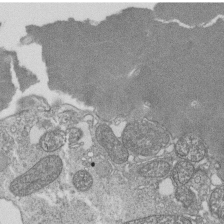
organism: Tetrahymena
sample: Cilia in tetrahymena